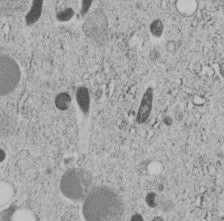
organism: C. elegans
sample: C. elegans embryo early stage